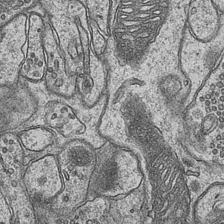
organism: Mouse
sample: CA1 Hippocampus